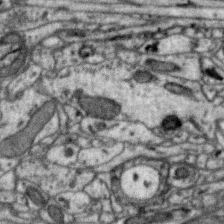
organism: Zebra finch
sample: Brain